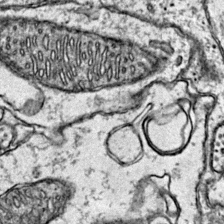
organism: Mouse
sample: Primary visual cortex